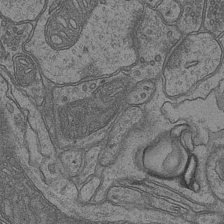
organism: Mouse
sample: CA1 Hippocampus